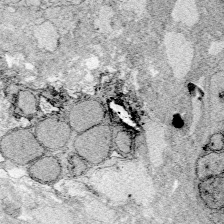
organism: Zebrafish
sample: Whole-Brain